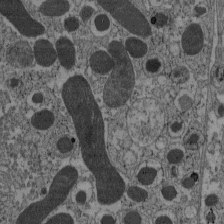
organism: C57BL Mouse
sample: Pancreatic islet